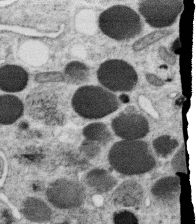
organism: C. elegans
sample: C. elegans oocyte; sperm cells